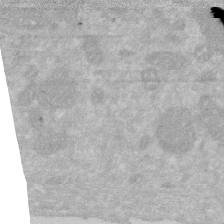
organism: Human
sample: HIV infected U937 cells